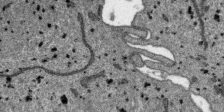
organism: Human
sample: Lung epithelial cells, uninfected (mock) control